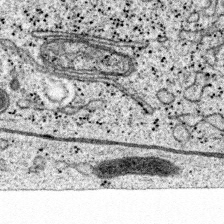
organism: Human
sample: HeLa cells